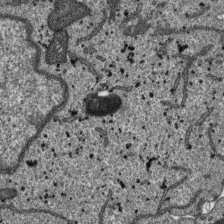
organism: Human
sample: Lung epithelial cells infected with SARS-CoV-2